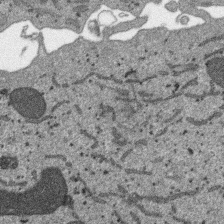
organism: Human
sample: Lung epithelial cells infected with SARS-CoV-2